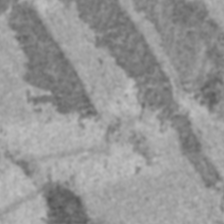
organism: C57BL Mouse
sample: Heart